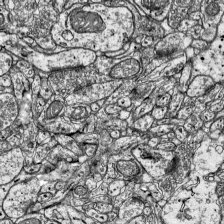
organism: Mouse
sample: Visual Cortex